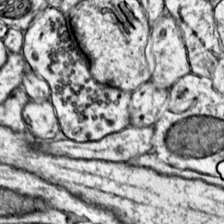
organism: Mouse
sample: Primary visual cortex